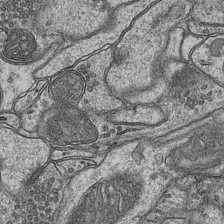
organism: Mouse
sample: CA1 Hippocampus